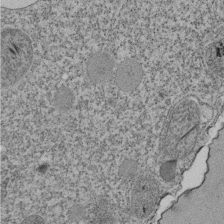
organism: Tetrahymena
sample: Cilia in tetrahymena